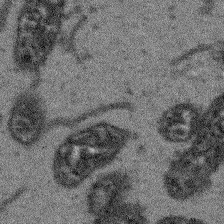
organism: Arabidopsis thaliana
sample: Root tip